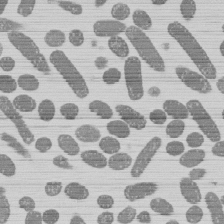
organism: E. coli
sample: Bacterial nucleoid